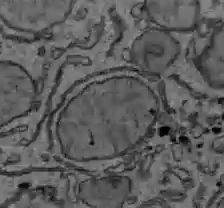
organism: C57BL Mouse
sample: Liver